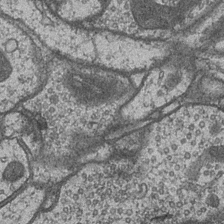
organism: Drosophila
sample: Optic medulla